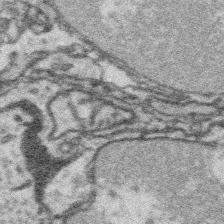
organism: Platynereis dumerilii